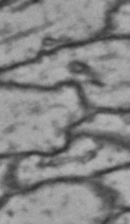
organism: Drosophila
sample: Brain